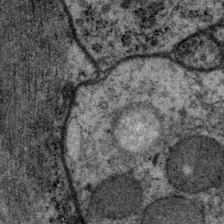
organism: P. pacificus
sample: Pharynx